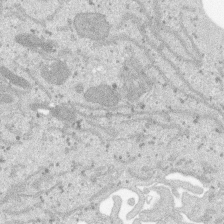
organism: Human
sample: Lung epithelial cells infected with SARS-CoV-2